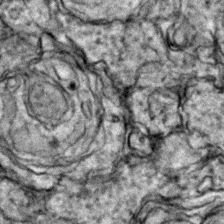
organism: Zebrafish